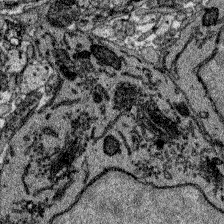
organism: Zebrafish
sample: Larval olfactory bulb